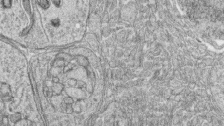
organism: Zebrafish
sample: synaptic ribbons in rod cells and cone cells